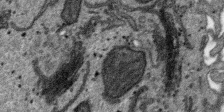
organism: Human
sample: Lung epithelial cells, uninfected (mock) control